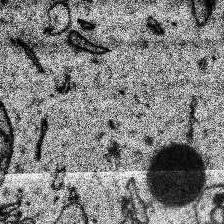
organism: Human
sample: Temporal Lobe